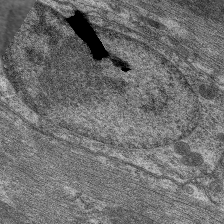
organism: C. elegans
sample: Pharynx